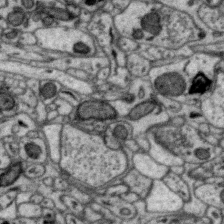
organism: Zebra finch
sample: Brain